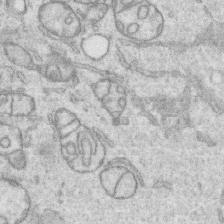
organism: Human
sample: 1205lu cells